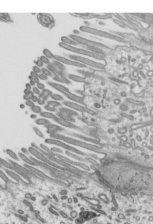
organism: Mouse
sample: Mouse epididymis efferent ductule cilia